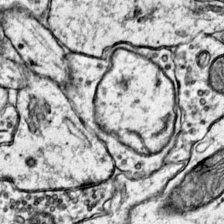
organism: Mouse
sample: Primary visual cortex